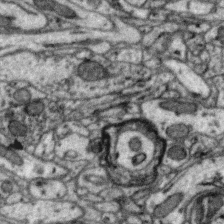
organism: Zebra finch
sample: Brain